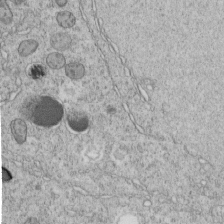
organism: C. elegans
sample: C. elegans embryo early stage